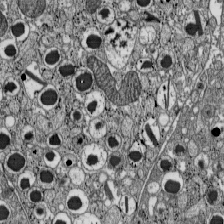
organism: C57BL Mouse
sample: Pancreatic islet